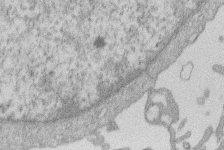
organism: Human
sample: Macrophage cells